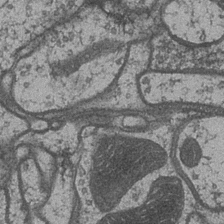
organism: Drosophila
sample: Optic medulla